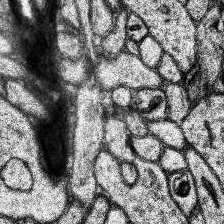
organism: Human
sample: Temporal Lobe